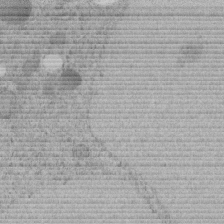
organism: C. elegans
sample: C. elegans embryo early stage